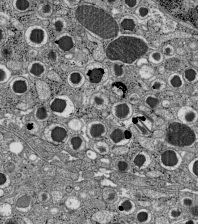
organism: C57BL Mouse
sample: Pancreatic islet